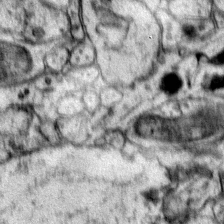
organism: Mouse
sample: Primary visual cortex